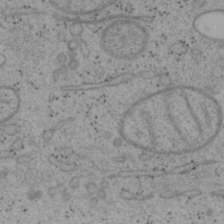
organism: Human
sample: HeLa cells